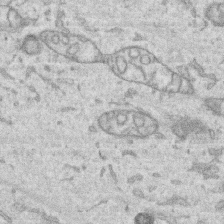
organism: Human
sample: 1205lu cells